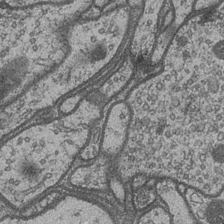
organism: Drosophila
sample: Optic medulla